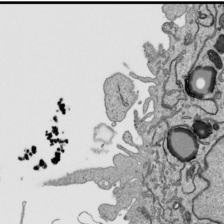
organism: Human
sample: Mitochondria in HCT116 cells